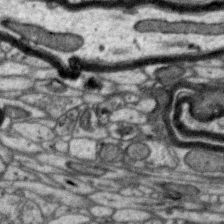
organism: Zebra finch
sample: Brain